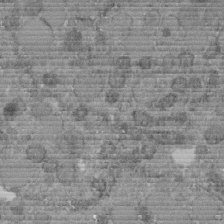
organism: C. elegans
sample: C. elegans embryo early stage